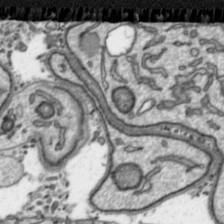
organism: Toxoplasma gondii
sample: Parasites in a vacuole inside a host cell